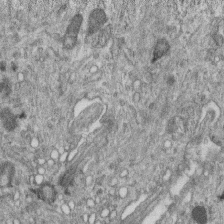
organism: Mouse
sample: Centriole in ependymal cells